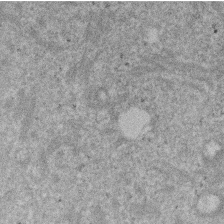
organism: Mouse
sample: Dividing mouse embryo 1 cell stage